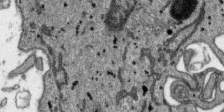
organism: Human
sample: Lung epithelial cells, uninfected (mock) control